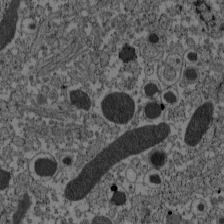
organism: C57BL Mouse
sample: Pancreatic islet